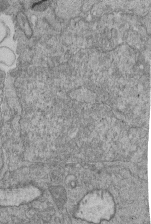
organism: Human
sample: Retinal organoid Rod and Cone cells